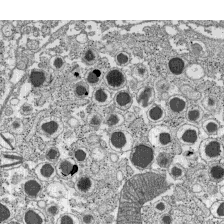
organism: C57BL Mouse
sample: Pancreatic islet